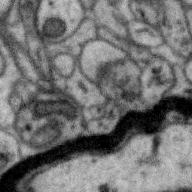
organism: Zebra finch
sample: Brain